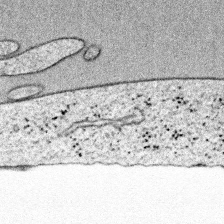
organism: Human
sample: HeLa cells